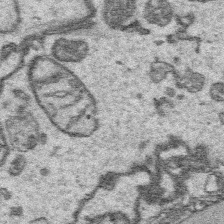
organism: Platynereis dumerilii